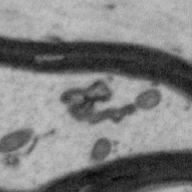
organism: Zebra finch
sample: Brain